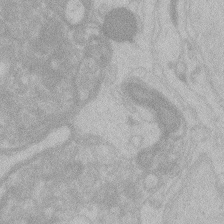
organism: Zebrafish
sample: Macrophage infected with Toxoplasma gondii